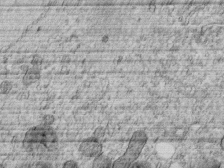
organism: C. elegans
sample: C. elegans embryo early stage